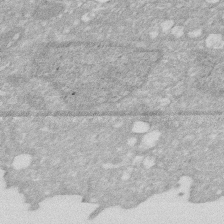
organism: Human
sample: HIV infected U937 cells